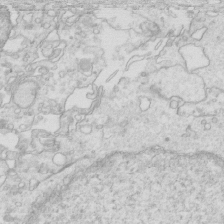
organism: Mouse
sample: Multiciliated cells